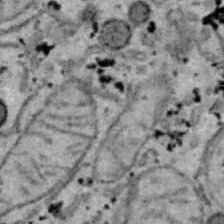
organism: Mouse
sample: Liver from an obese (ob/ob) mouse